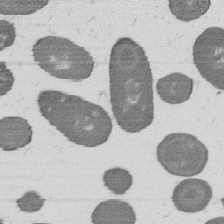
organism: B. subtilis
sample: Bacterial spore